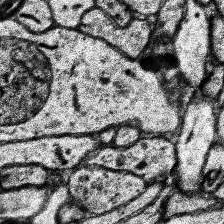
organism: Human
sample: Temporal Lobe